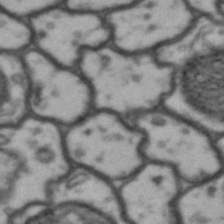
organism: Drosophila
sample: Brain